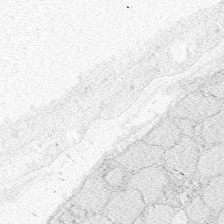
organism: Zebrafish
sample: Whole-Brain